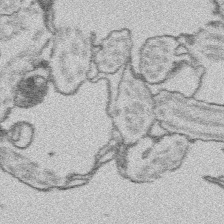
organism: Platynereis dumerilii